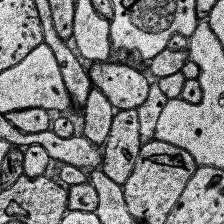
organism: Human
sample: Temporal Lobe